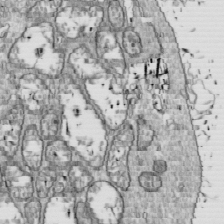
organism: Drosophila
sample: Cell division; meiosis; drosophila spermatocytes